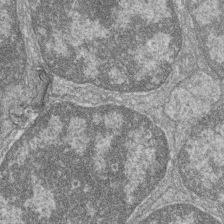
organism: Zebrafish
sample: Cilia; retinal pigment epithelium